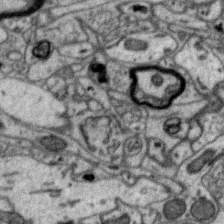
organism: Zebra finch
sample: Brain